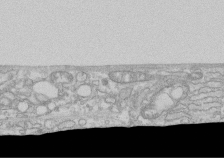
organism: Human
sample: CRL-1474